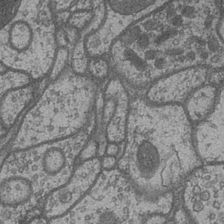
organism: Drosophila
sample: Optic medulla